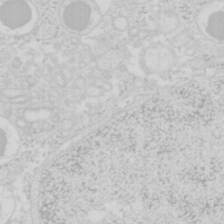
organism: Mouse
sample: Pancreas